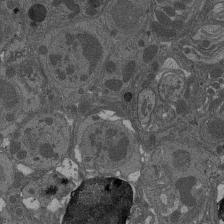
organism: Drosophila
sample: Antenna